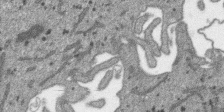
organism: Human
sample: Lung epithelial cells infected with SARS-CoV-2